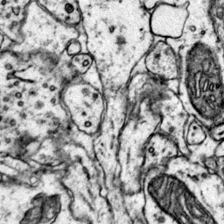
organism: Mouse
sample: Primary visual cortex